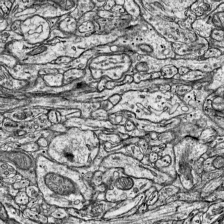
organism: Mouse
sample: Visual Cortex